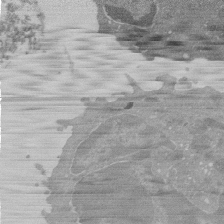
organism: Mouse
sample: Activated Pmel transgenic CD8+ T Cells